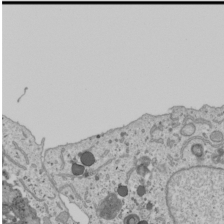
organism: Human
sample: Mitochondria in U2OS cells